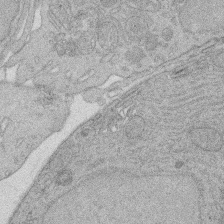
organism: Rat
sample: Salivary granule